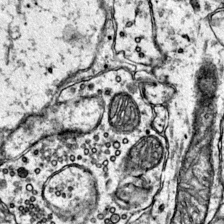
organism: Mouse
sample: Primary visual cortex